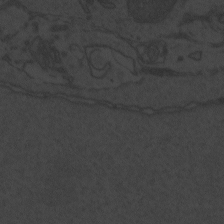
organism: Zebrafish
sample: Macrophage infected with Toxoplasma gondii